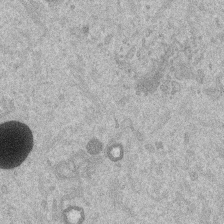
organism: Mouse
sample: Dividing mouse embryo 1 cell stage